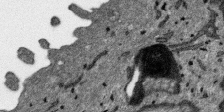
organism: Human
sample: Lung epithelial cells, uninfected (mock) control